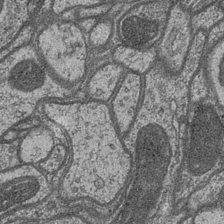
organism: Drosophila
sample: Optic medulla